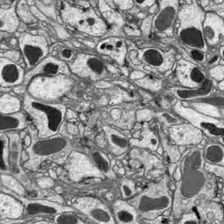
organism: Drosophila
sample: Optic lobe